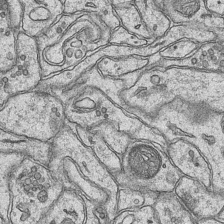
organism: Mouse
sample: CA1 Hippocampus